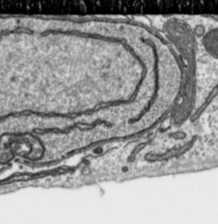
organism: Toxoplasma gondii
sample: Parasites in a vacuole inside a host cell